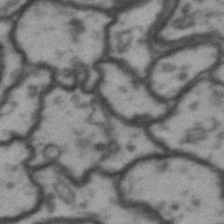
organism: Drosophila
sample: Brain